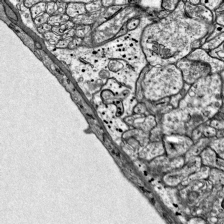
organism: Mouse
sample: Visual Cortex